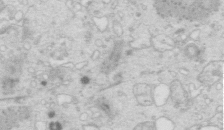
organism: Mouse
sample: Multiciliated cells